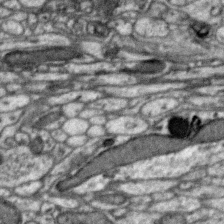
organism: Zebra finch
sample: Brain